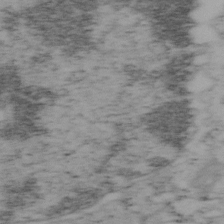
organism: Mouse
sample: OT-I killer T cells with ID8 ovarian cancer cells